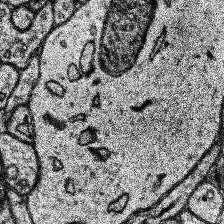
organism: Human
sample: Temporal Lobe